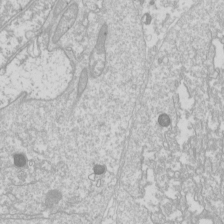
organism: Drosophila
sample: Cell division; meiosis; drosophila spermatocytes